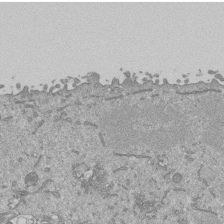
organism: Mouse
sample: ED-1 cell nuclei; centrioles